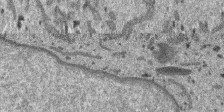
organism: Human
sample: Lung epithelial cells infected with SARS-CoV-2